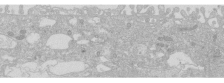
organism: Human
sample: Caco-2 cells